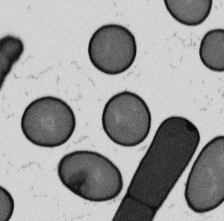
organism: B. subtilis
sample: Bacterial spore